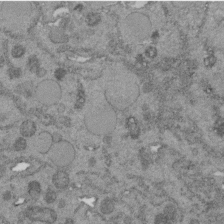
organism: C. elegans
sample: C. elegans embryo early stage